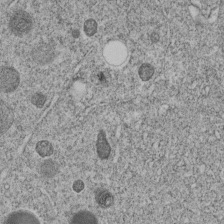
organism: C. elegans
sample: C. elegans embryo early stage